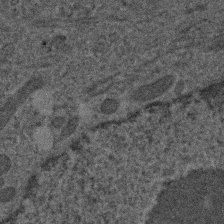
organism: Human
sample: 1205lu cells